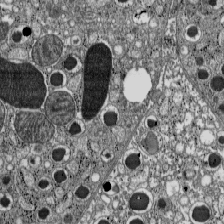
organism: C57BL Mouse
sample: Pancreatic islet